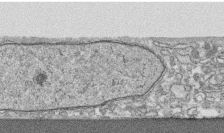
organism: Human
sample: CRL-1474